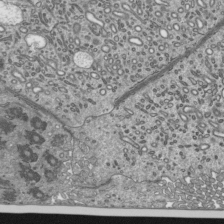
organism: Mouse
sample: Mouse epididymis efferent ductule cilia